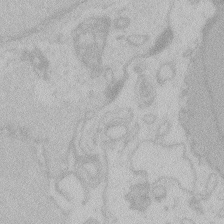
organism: Zebrafish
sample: Macrophage infected with Toxoplasma gondii